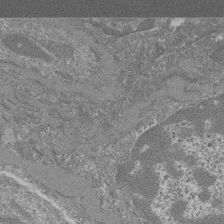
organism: Mouse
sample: Glomerulus